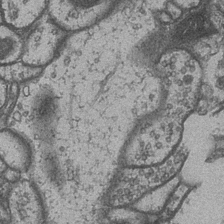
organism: Drosophila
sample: Optic medulla